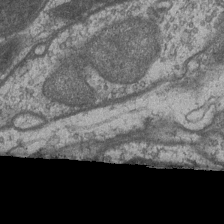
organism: Drosophila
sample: Optic medulla